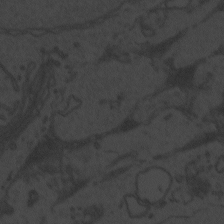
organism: Zebrafish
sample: Macrophage infected with Toxoplasma gondii